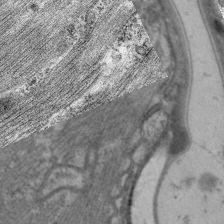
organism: C. elegans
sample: Pharynx